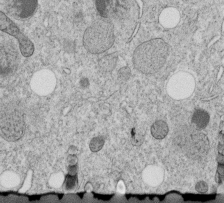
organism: C. elegans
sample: C. elegans embryo early stage